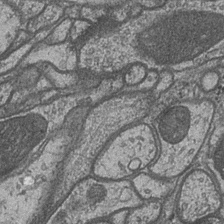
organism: Drosophila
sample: Optic medulla